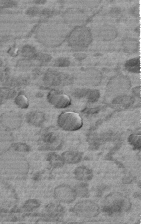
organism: C. elegans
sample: C. elegans embryo early stage